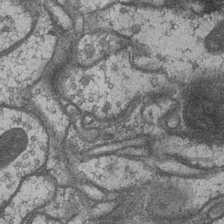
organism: Drosophila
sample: Optic medulla